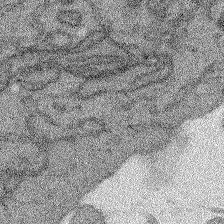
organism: Human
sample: HeLa cells